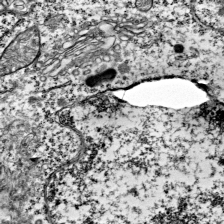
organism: Mouse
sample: Visual Cortex